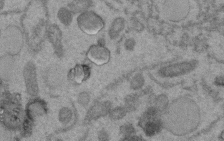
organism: C. elegans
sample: C. elegans embryo early stage